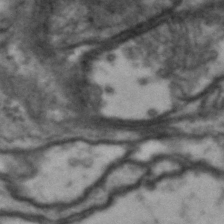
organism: Drosophila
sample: Brain